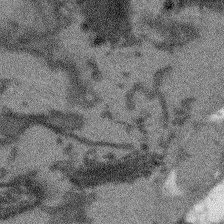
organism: Arabidopsis thaliana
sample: Root tip